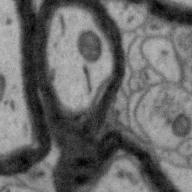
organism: Zebra finch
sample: Brain